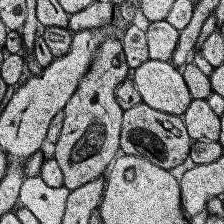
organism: Human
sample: Temporal Lobe